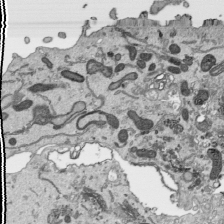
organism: Human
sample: Mitochondria in HCT116 cells